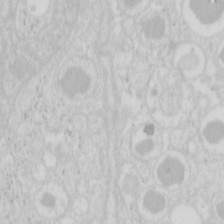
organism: Mouse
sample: Pancreas